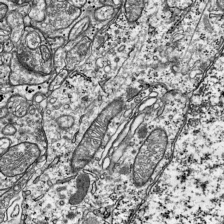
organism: Mouse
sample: Visual Cortex